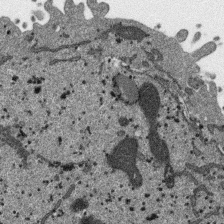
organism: Human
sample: Lung epithelial cells infected with SARS-CoV-2